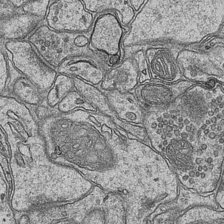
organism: Mouse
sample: CA1 Hippocampus